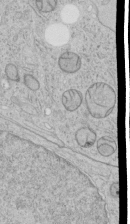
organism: Human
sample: Mitochondria in HCT116 cells